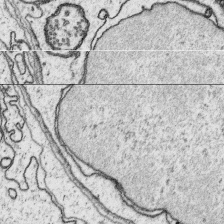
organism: Platynereis dumerilii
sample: Parapodia